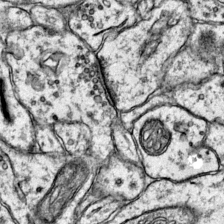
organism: Mouse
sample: Primary visual cortex